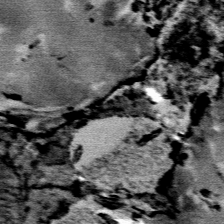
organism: Mouse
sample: Mouse Salivary gland